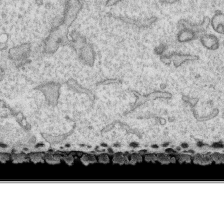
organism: Human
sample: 1205lu cells